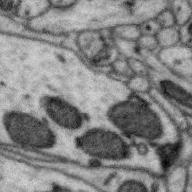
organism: Zebra finch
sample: Brain